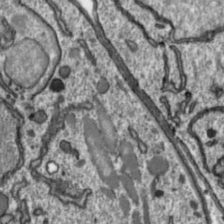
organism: Toxoplasma gondii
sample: Parasites in a vacuole inside a host cell